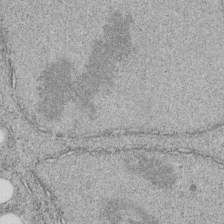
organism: C. elegans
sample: C. elegans embryo early stage